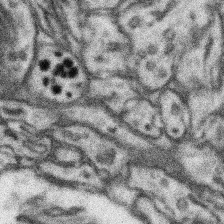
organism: Mouse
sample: Somatosensory cortex neuropil